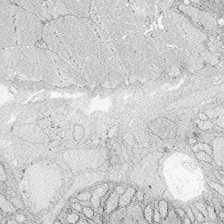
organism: Zebrafish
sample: Whole-Brain